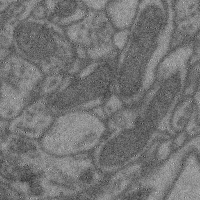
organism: Mouse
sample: Cerebral cortex